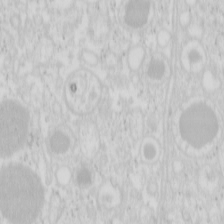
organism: Mouse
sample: Pancreas